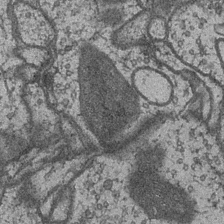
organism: Drosophila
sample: Optic medulla